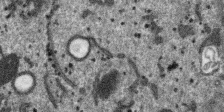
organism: Human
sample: Lung epithelial cells infected with SARS-CoV-2